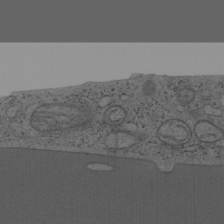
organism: Human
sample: HeLa cells